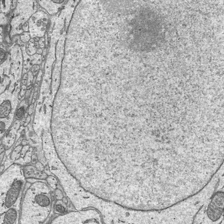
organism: Mouse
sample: Suprachiasmatic nucleus